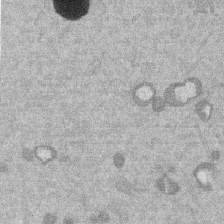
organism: Mouse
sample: Dividing mouse embryo 1 cell stage